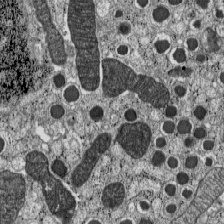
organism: C57BL Mouse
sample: Pancreatic islet